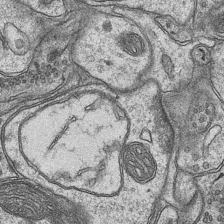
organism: Mouse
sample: CA1 Hippocampus